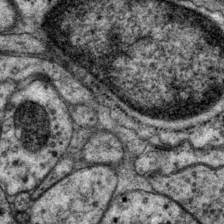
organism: P. pacificus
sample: Pharynx